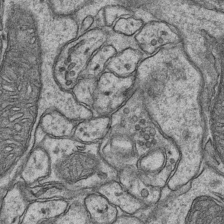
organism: Mouse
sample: CA1 Hippocampus